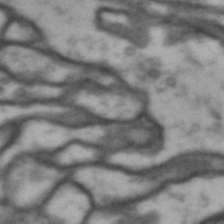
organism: Drosophila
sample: Brain